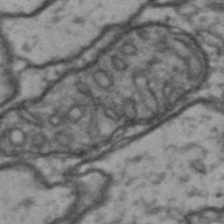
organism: Drosophila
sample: Brain